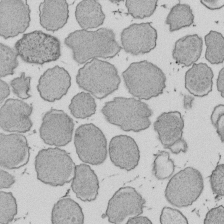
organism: E. coli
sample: Bacterial nucleoid